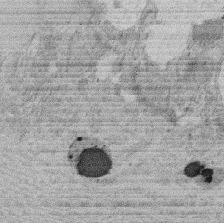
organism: Rat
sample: Salivary granule